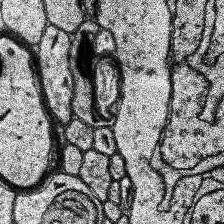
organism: Human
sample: Temporal Lobe